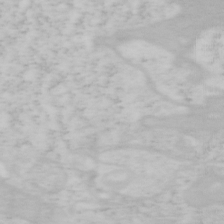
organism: Mouse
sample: OT-I killer T cells with ID8 ovarian cancer cells